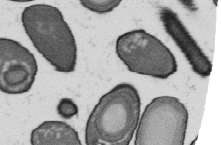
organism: B. subtilis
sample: Bacterial spore